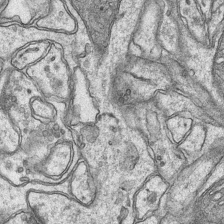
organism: Mouse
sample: CA1 Hippocampus